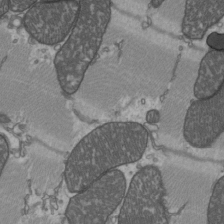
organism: C57BL Mouse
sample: Heart